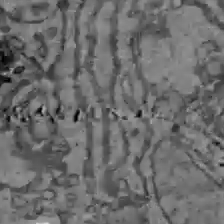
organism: C57BL Mouse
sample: Liver